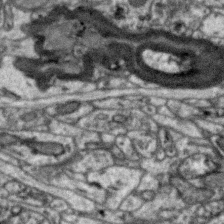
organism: Zebra finch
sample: Brain